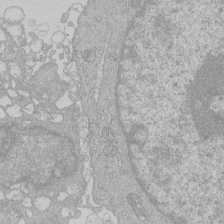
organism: Human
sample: Macrophage cells